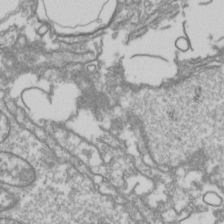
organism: Drosophila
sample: Cell division; meiosis; drosophila spermatocytes